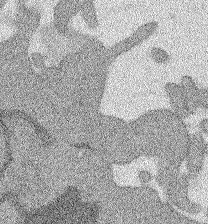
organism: Human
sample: HeLa cells